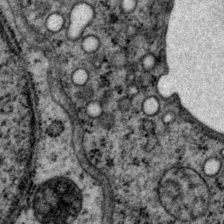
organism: P. pacificus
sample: Pharynx